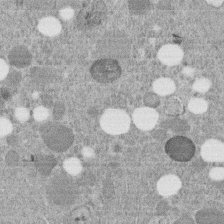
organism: C. elegans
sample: C. elegans embryo early stage